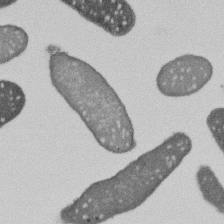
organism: E. coli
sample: Bacterial nucleoid